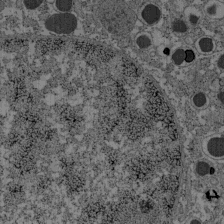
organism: C57BL Mouse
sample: Pancreatic islet